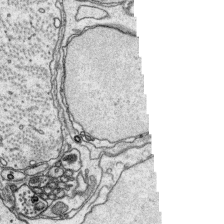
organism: Platynereis dumerilii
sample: Parapodia